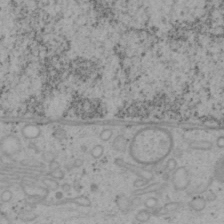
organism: Human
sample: HeLa cells